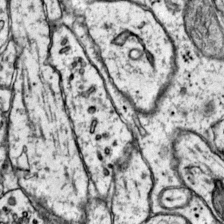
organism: Mouse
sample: Primary visual cortex